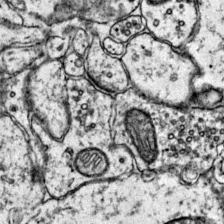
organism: Mouse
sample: Primary visual cortex